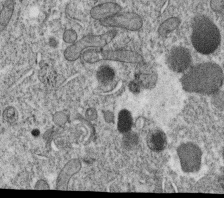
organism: C. elegans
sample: C. elegans oocyte; sperm cells